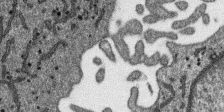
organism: Human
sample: Lung epithelial cells infected with SARS-CoV-2